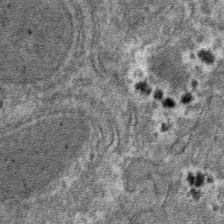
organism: Mouse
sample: Mouse hepatocytes